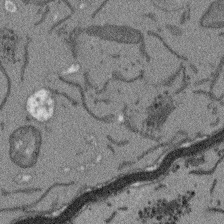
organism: Arabidopsis thaliana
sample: Root tip